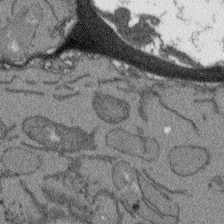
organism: Arabidopsis thaliana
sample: Root tip